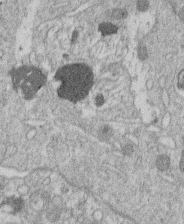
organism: Human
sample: Macrophage cells